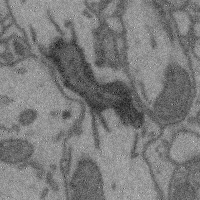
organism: Mouse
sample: Cerebral cortex